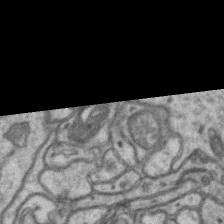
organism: Mouse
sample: CA1 Hippocampus